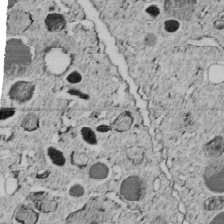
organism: C. elegans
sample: C. elegans embryo early stage